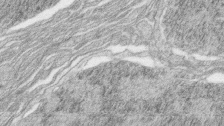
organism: Zebrafish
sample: synaptic ribbons in rod cells and cone cells